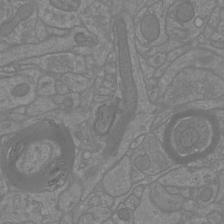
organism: Mouse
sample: Cortical neurons